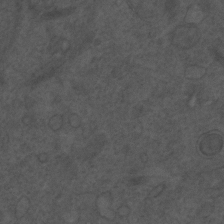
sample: Trachea